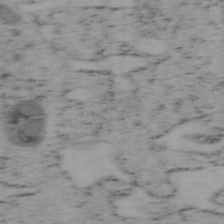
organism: Mouse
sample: OT-I killer T cells with ID8 ovarian cancer cells